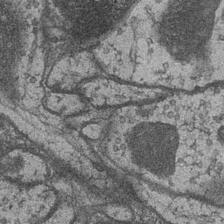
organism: Drosophila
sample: Optic medulla